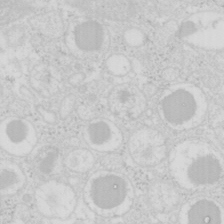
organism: Mouse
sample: Pancreas